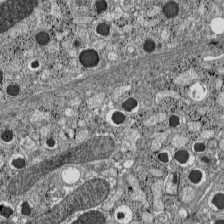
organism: C57BL Mouse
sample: Pancreatic islet